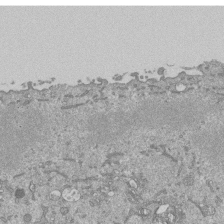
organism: Mouse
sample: ED-1 cell nuclei; centrioles